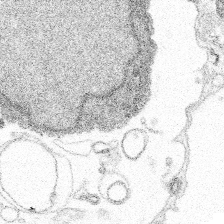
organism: Spongilla lacustris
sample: Multiple